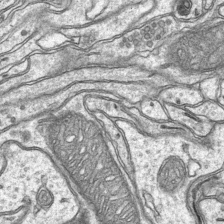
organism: Mouse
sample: CA1 Hippocampus